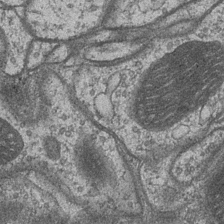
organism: Drosophila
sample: Optic medulla